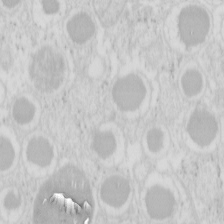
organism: Mouse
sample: Pancreas